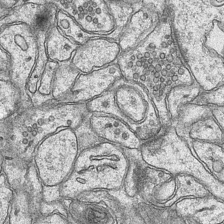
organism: Mouse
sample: CA1 Hippocampus